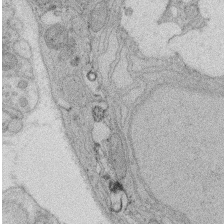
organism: Rat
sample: Salivary granule